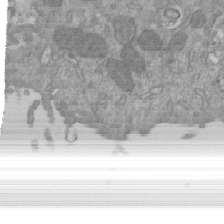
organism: Mouse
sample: ED-1 cell nuclei; centrioles